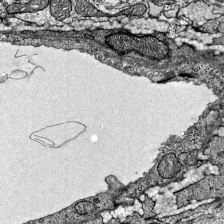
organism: Mouse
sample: Visual Cortex